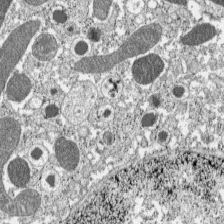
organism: C57BL Mouse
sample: Pancreatic islet